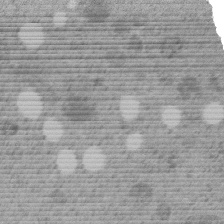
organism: C. elegans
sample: C. elegans embryo early stage